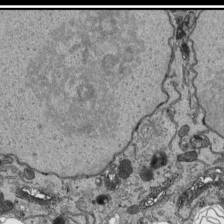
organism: Human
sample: Mitochondria in HCT116 cells